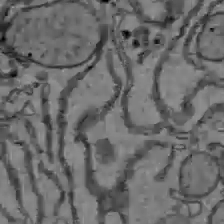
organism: C57BL Mouse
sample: Liver